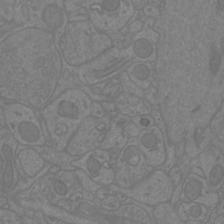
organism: Mouse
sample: Cortical neurons